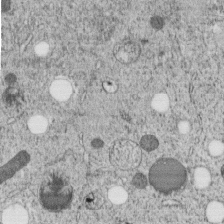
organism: C. elegans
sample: C. elegans embryo early stage